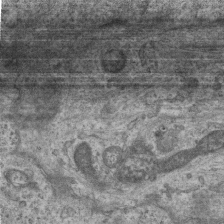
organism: Mouse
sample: Centriole in ependymal cells